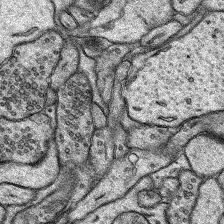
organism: Rat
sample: Hippocampus